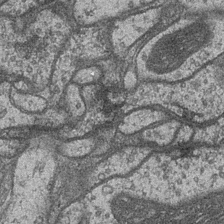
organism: Drosophila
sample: Optic medulla